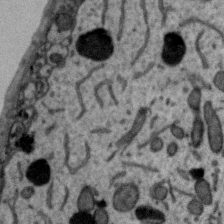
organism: Zebra finch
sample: Brain